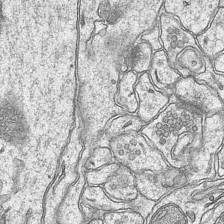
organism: Mouse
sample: CA1 Hippocampus